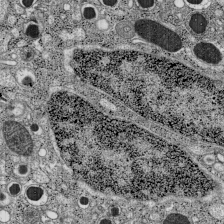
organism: C57BL Mouse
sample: Pancreatic islet